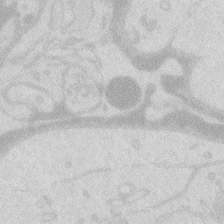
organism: Zebrafish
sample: Macrophage